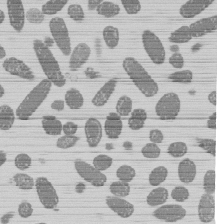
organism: E. coli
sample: Bacterial nucleoid